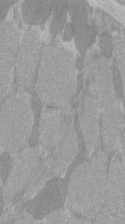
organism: C57BL Mouse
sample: Tibialis anterior muscle cell